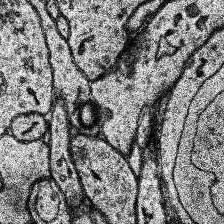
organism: Human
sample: Temporal Lobe